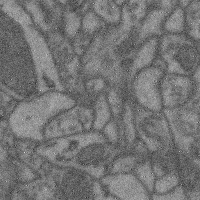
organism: Mouse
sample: Cerebral cortex